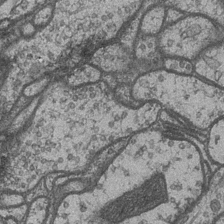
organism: Drosophila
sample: Optic medulla